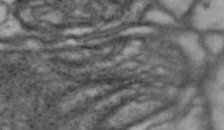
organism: Drosophila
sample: Brain